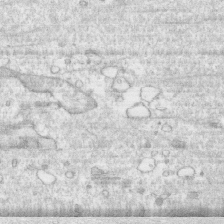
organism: Human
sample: CRL-1474